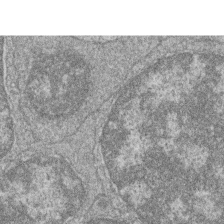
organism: Zebrafish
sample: Cilia; retinal pigment epithelium